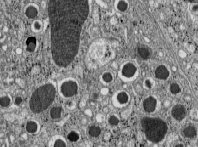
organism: C57BL Mouse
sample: Pancreatic islet